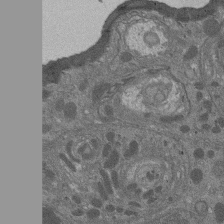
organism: Drosophila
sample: Antenna